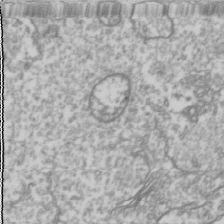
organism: Drosophila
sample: Cell division; meiosis; drosophila spermatocytes